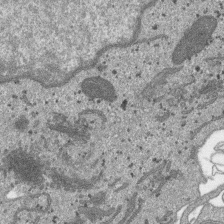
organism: Human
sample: Lung epithelial cells infected with SARS-CoV-2